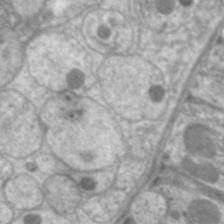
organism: C. elegans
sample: Pharynx